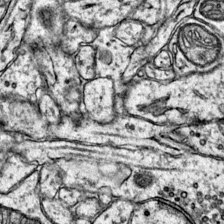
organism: Mouse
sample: Primary visual cortex